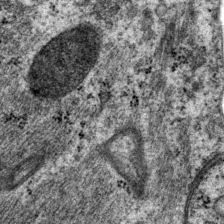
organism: P. pacificus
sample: Pharynx